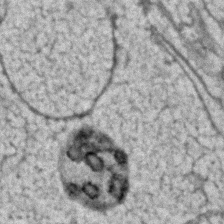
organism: Human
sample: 1205lu cells